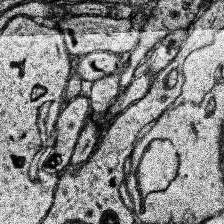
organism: Human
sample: Temporal Lobe